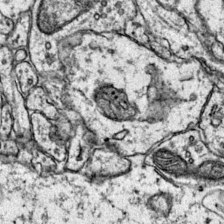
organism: Mouse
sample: Primary visual cortex